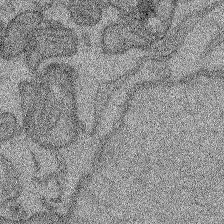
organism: Human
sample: HeLa cells